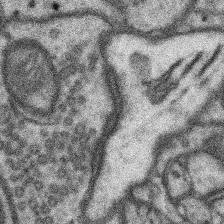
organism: Mouse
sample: Somatosensory cortex neuropil